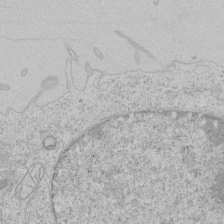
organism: Human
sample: Mitochondria in HCT116 cells